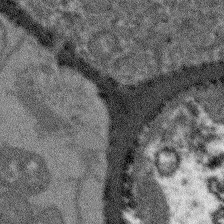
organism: Arabidopsis thaliana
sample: Root tip